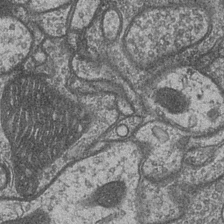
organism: Drosophila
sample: Optic medulla